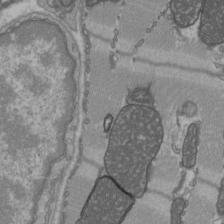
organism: C57BL Mouse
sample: Heart